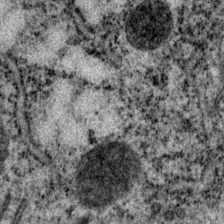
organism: P. pacificus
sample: Pharynx